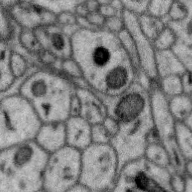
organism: Zebra finch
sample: Brain